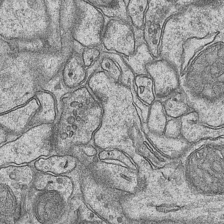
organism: Mouse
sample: CA1 Hippocampus